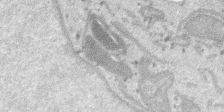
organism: Human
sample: Lung epithelial cells infected with SARS-CoV-2